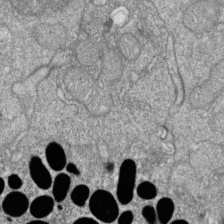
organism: Zebrafish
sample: Cilia; retinal pigment epithelium